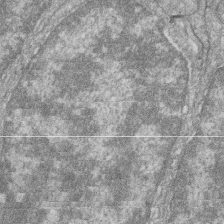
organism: Zebrafish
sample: Cilia; retinal pigment epithelium